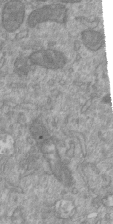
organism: Mouse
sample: ED-1 cell nuclei; centrioles